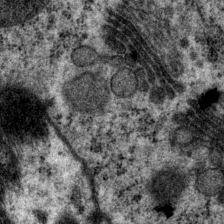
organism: P. pacificus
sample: Pharynx